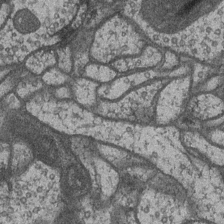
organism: Drosophila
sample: Optic medulla